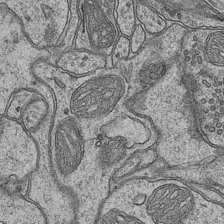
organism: Mouse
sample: CA1 Hippocampus